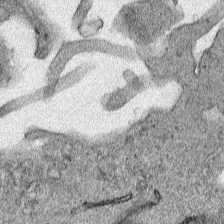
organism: Human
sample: Mitochondria in HCT116 cells